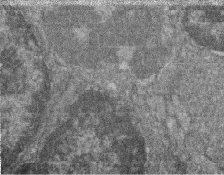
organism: Zebrafish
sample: Cilia; retinal pigment epithelium